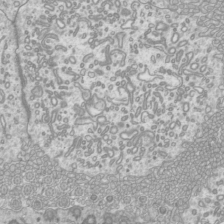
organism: Mouse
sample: Cilia; mouse epididymis